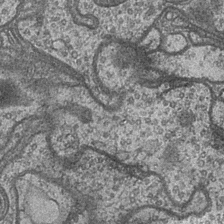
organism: Drosophila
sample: Optic medulla